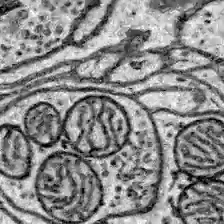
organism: Zebrafish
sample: Brain